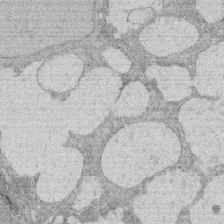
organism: Rat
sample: Salivary granule